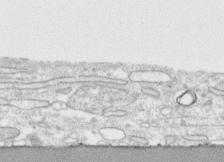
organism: Human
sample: CRL-1474